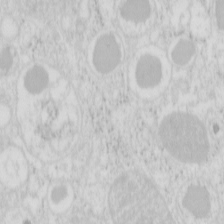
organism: Mouse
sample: Pancreas